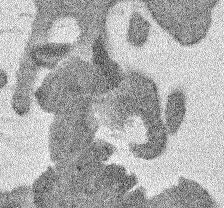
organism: Human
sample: HeLa cells